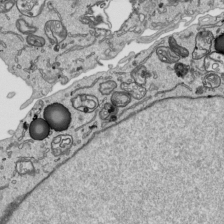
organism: Human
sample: Mitochondria in HCT116 cells